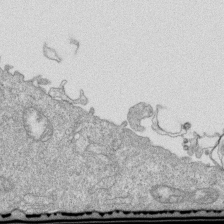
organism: Human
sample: HeLa cell HIV synapse